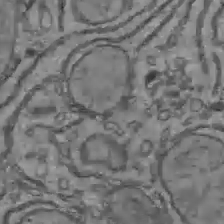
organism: C57BL Mouse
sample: Liver